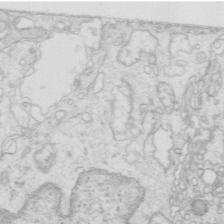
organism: Mouse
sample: Multiciliated cells